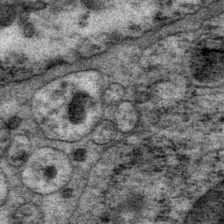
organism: P. pacificus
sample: Pharynx